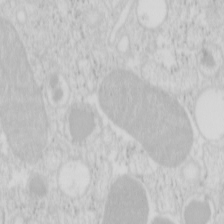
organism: Mouse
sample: Pancreas